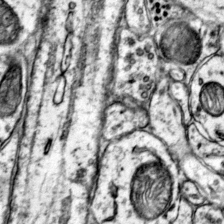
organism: Mouse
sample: Primary visual cortex